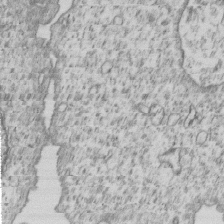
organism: Human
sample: MDA-MB-231 cells